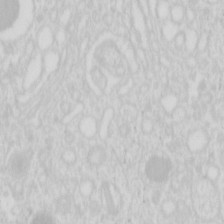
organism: Mouse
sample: Pancreas